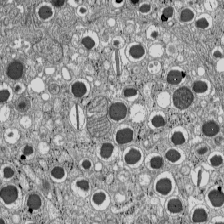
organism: C57BL Mouse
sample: Pancreatic islet